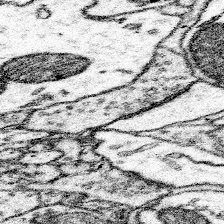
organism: Mouse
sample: Somatosensory cortex neuropil